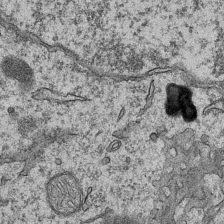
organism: Mouse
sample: CA1 Hippocampus